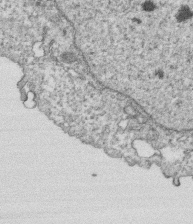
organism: Human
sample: HeLa cell HIV synapse